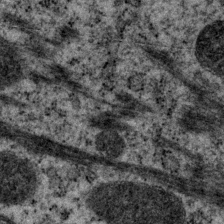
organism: P. pacificus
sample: Pharynx